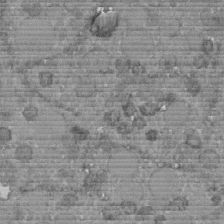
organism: C. elegans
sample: C. elegans embryo early stage